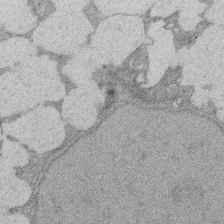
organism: Rat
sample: Salivary granule